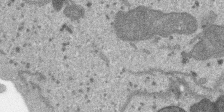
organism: Human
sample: Lung epithelial cells infected with SARS-CoV-2